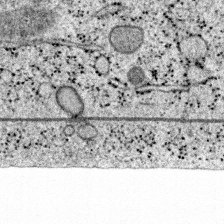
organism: Human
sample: HeLa cells